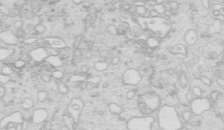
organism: Mouse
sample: Multiciliated cells